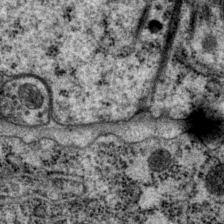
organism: P. pacificus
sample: Pharynx